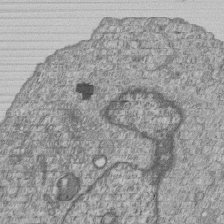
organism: Human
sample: MDA-MB-231 cells